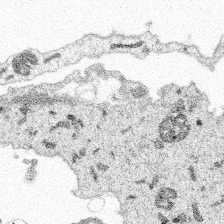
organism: Spongilla lacustris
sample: Multiple